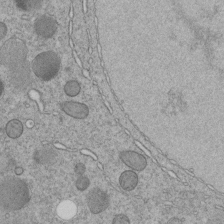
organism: C. elegans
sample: C. elegans embryo early stage